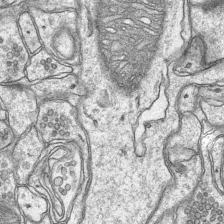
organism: Mouse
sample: CA1 Hippocampus